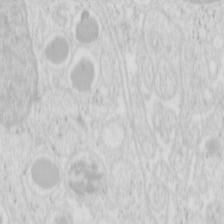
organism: Mouse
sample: Pancreas